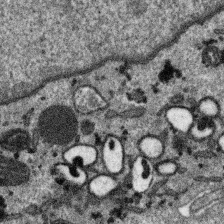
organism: Human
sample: Lung epithelial cells infected with SARS-CoV-2